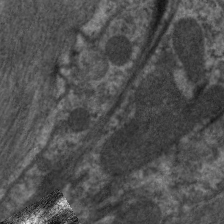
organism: C. elegans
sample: Pharynx